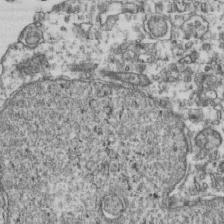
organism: Human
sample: Activated Jurkat CD4+ T cells